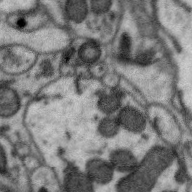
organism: Zebra finch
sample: Brain